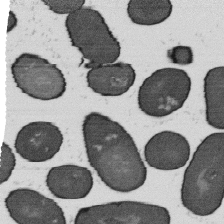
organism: B. subtilis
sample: Bacterial spore